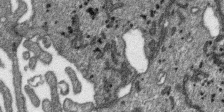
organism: Human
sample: Lung epithelial cells infected with SARS-CoV-2